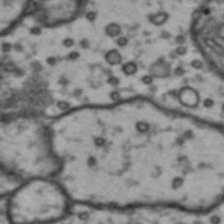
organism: Drosophila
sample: Brain